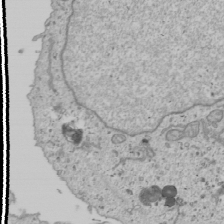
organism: Human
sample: Mitochondria in U2OS cells